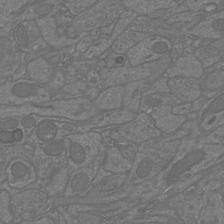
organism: Mouse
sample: Cortical neurons